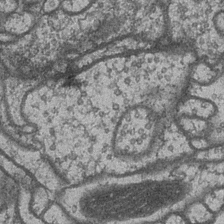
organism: Drosophila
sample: Optic medulla